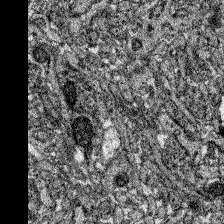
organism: Zebrafish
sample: Larval olfactory bulb